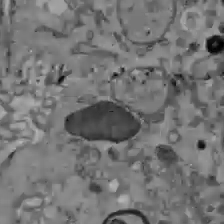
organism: C57BL Mouse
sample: Liver